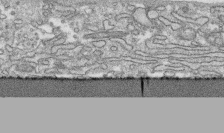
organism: Human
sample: CRL-1474